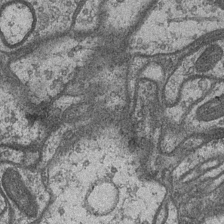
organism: Drosophila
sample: Optic medulla